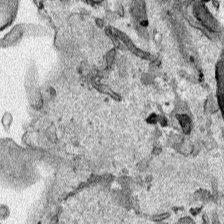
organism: Human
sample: Mitochondria in HCT116 cells